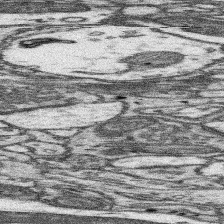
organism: Mouse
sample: Somatosensory cortex neuropil